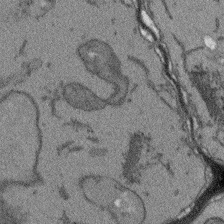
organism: Arabidopsis thaliana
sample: Root tip